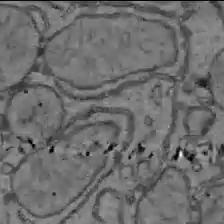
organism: C57BL Mouse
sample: Liver